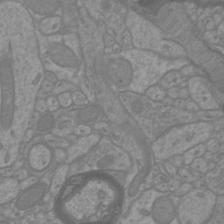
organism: Mouse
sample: Cortical neurons